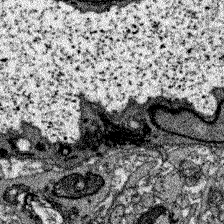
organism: Zebrafish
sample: Larval olfactory bulb